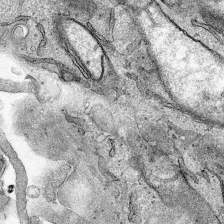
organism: Human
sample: Mitochondria in HCT116 cells